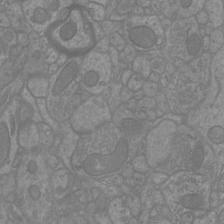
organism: Mouse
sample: Cortical neurons